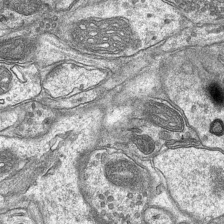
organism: Mouse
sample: CA1 Hippocampus